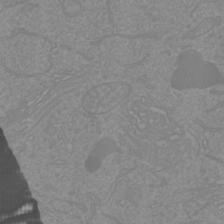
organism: Mouse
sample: Cortical neurons